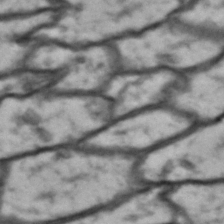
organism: Drosophila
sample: Brain